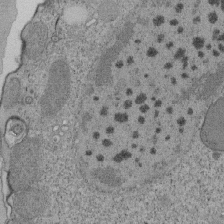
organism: Tetrahymena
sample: Cilia in tetrahymena